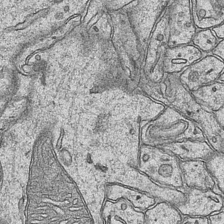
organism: Mouse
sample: CA1 Hippocampus